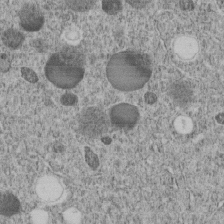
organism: C. elegans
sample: C. elegans embryo early stage